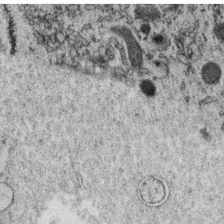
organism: C. elegans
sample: C. elegans oocyte; sperm cells